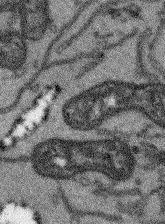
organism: Arabidopsis thaliana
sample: Root tip